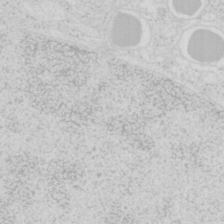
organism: Mouse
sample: Pancreas